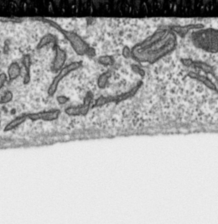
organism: Toxoplasma gondii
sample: Parasites in a vacuole inside a host cell